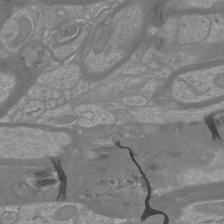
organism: Mouse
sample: Cortical neurons